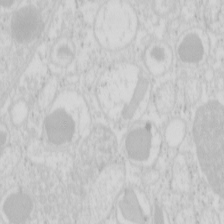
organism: Mouse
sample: Pancreas